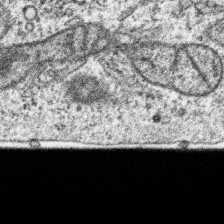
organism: Human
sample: HeLa cells